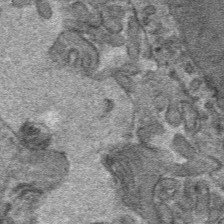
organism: Mouse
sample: Mouse hepatocytes